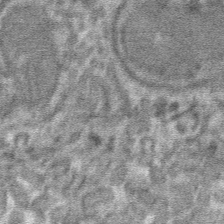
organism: Mouse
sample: Mouse hepatocytes